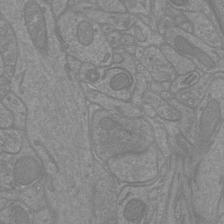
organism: Mouse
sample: Cortical neurons